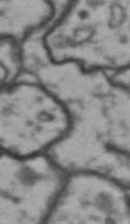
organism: Drosophila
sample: Brain